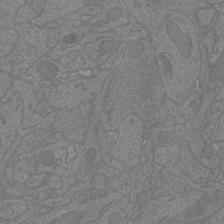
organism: Mouse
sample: Cortical neurons